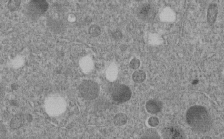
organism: C. elegans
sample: C. elegans embryo early stage